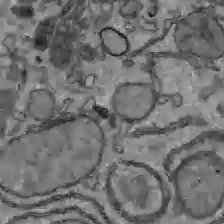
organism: C57BL Mouse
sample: Liver